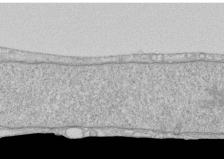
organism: Human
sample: CRL-1474